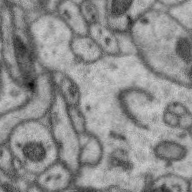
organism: Zebra finch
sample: Brain